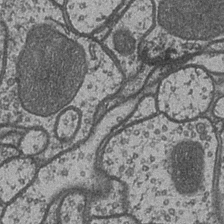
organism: Drosophila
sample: Optic medulla